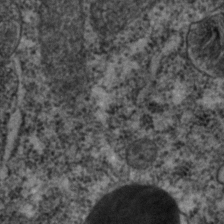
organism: C. elegans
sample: C. elegans embryo